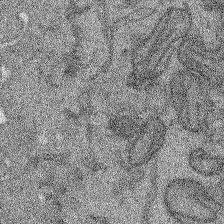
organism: Human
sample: HeLa cells